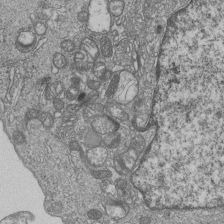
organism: Human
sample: MDA-MB-231 cells